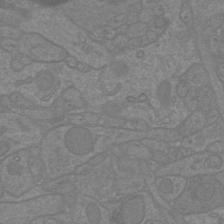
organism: Mouse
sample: Cortical neurons